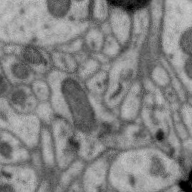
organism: Zebra finch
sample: Brain